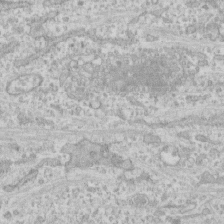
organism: Human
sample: CRL-1474